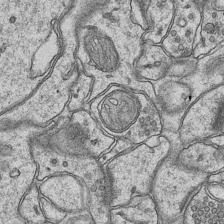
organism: Mouse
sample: CA1 Hippocampus